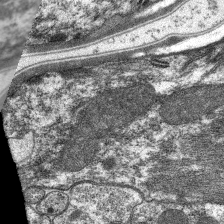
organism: C. elegans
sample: Pharynx